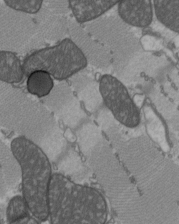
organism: C57BL Mouse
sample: Heart